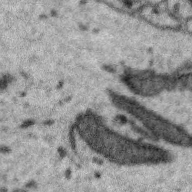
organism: Zebra finch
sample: Brain